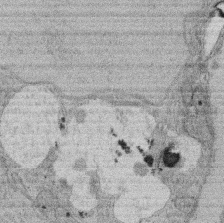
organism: Rat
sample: Salivary granule